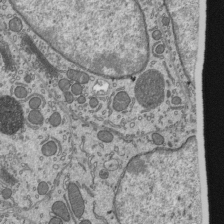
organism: Mouse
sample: Mouse epididymis efferent ductule cilia